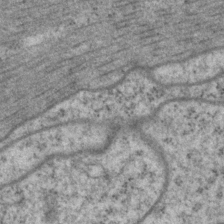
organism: P. pacificus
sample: Pharynx